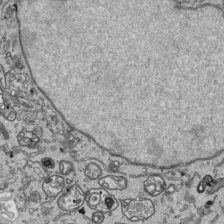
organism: Human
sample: Mitochondria in HCT116 cells